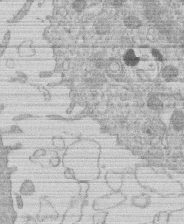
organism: Human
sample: Macrophage cells